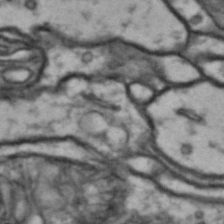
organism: Drosophila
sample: Brain